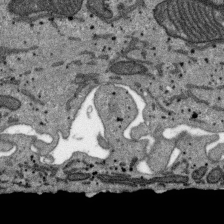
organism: Human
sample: Lung epithelial cells, uninfected (mock) control